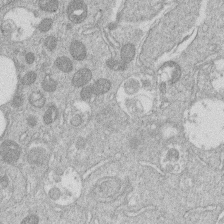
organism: Human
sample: Macrophage cells